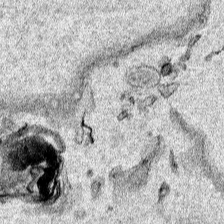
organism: Human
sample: Mitochondria in HCT116 cells